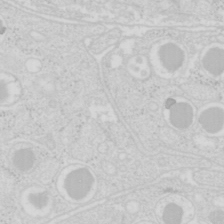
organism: Mouse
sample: Pancreas